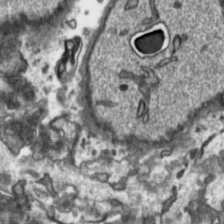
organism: Toxoplasma gondii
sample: Parasites in a vacuole inside a host cell